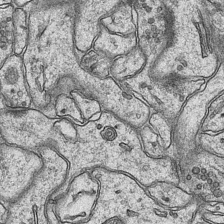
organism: Mouse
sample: CA1 Hippocampus